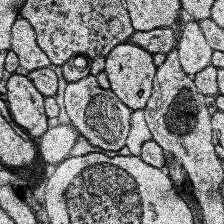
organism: Human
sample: Temporal Lobe